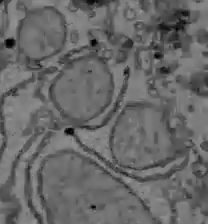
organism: C57BL Mouse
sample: Liver